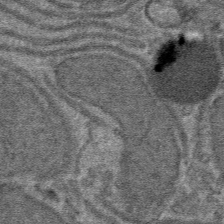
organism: Mouse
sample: Mouse hepatocytes